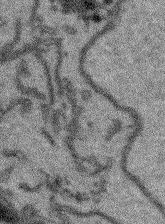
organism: Arabidopsis thaliana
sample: Root tip